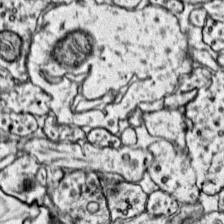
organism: Mouse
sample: Primary visual cortex